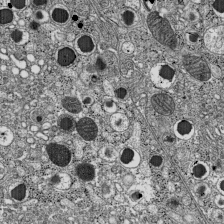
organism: C57BL Mouse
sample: Pancreatic islet